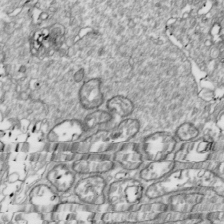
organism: Drosophila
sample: Cell division; meiosis; drosophila spermatocytes